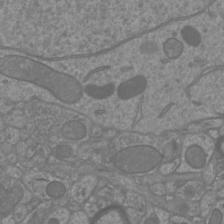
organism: Mouse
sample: Cortical neurons